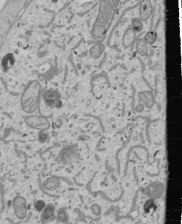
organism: Human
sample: Mitochondria in U2OS cells